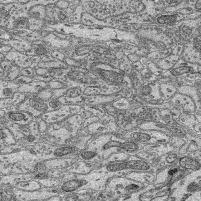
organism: Mouse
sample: Retina